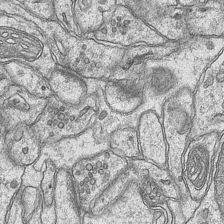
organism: Mouse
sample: CA1 Hippocampus